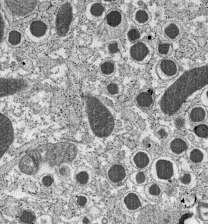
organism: C57BL Mouse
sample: Pancreatic islet